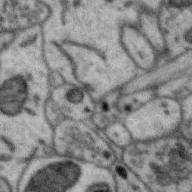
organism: Zebra finch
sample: Brain